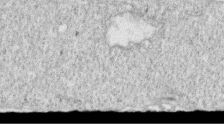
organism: Human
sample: HeLa cell HIV synapse